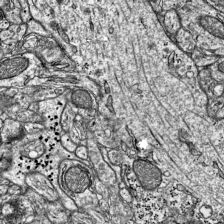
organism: Mouse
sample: Visual Cortex